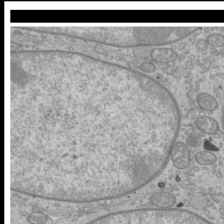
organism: Mouse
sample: Cilia; mouse epididymis